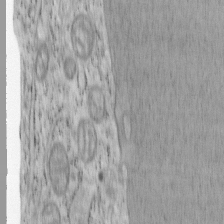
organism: Human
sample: HeLa cells